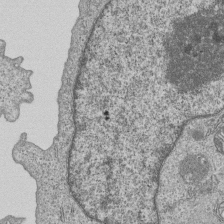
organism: Human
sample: MDA-MB-231 cells